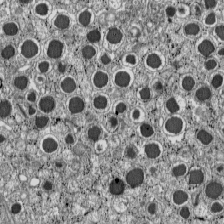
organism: C57BL Mouse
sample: Pancreatic islet